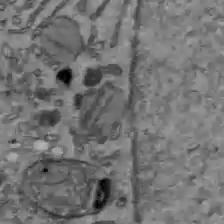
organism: C57BL Mouse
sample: Liver